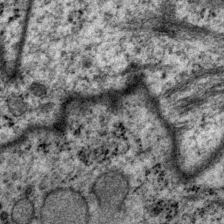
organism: P. pacificus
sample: Pharynx